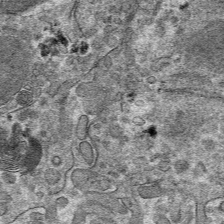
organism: Mouse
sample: Mouse hepatocytes